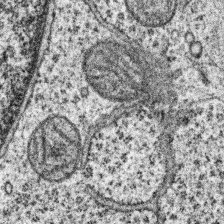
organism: Human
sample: HeLa cells